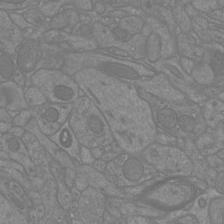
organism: Mouse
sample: Cortical neurons